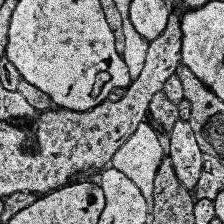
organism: Human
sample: Temporal Lobe